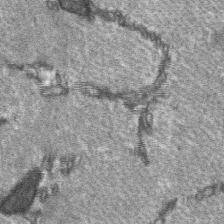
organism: C57BL Mouse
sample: Soleus